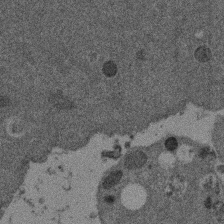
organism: Mouse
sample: Dividing mouse embryo 1 cell stage